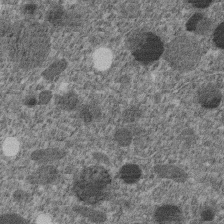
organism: C. elegans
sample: C. elegans embryo early stage